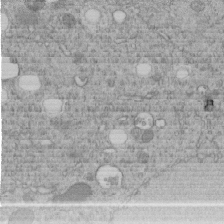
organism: C. elegans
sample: C. elegans embryo early stage